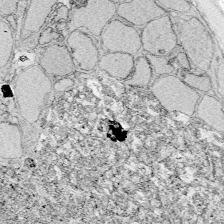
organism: Zebrafish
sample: Whole-Brain